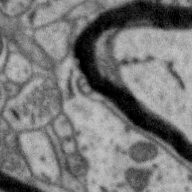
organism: Zebra finch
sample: Brain